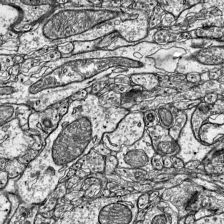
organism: Mouse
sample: Visual Cortex